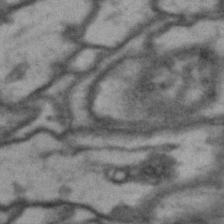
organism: Drosophila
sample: Brain